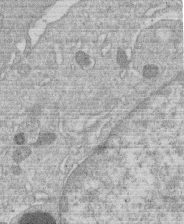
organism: Human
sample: Macrophage cells